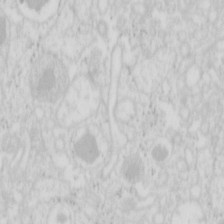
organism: Mouse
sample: Pancreas